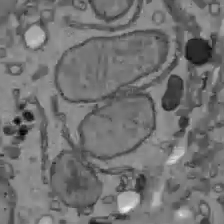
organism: C57BL Mouse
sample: Liver